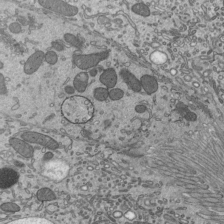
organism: Mouse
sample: Mouse epididymis efferent ductule cilia